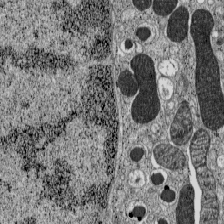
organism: C57BL Mouse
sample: Pancreatic islet